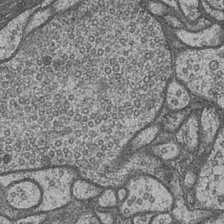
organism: Drosophila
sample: Optic medulla